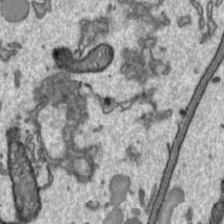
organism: Toxoplasma gondii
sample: Parasites in a vacuole inside a host cell